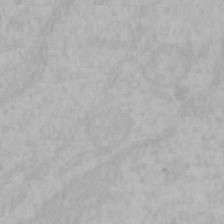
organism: Mouse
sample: Choroid plexus